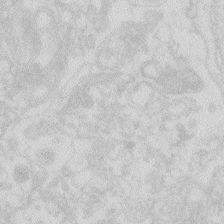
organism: Zebrafish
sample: Macrophage